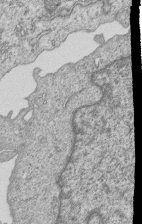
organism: Human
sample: MDA-MB-231 cells